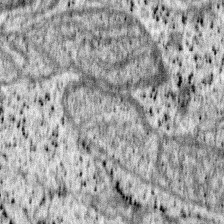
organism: Human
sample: HeLa cells